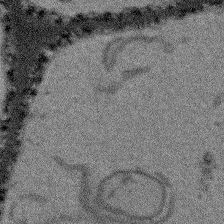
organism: Arabidopsis thaliana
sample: Root tip